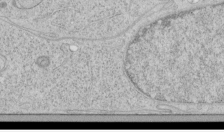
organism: Human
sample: Mitochondria in HCT116 cells